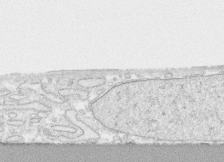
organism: Human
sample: CRL-1474